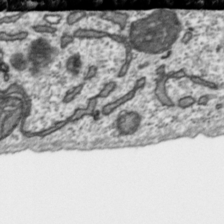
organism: Toxoplasma gondii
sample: Parasites in a vacuole inside a host cell